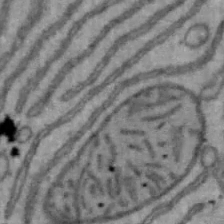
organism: Mouse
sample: Liver